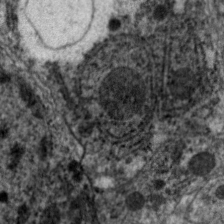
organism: C. elegans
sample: Pharynx